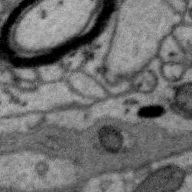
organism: Zebra finch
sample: Brain